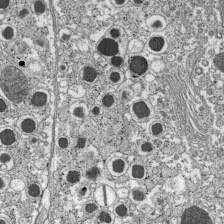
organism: C57BL Mouse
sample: Pancreatic islet